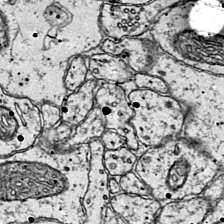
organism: Mouse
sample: Primary visual cortex